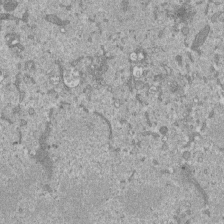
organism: Mouse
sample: ED-1 cell nuclei; centrioles